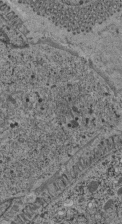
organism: C. elegans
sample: C. elegans pharynx